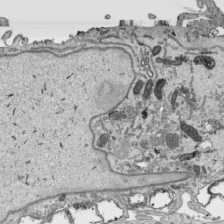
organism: Human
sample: Mitochondria in HCT116 cells